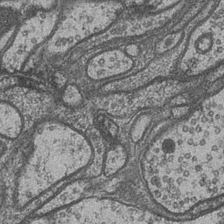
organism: Drosophila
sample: Optic medulla